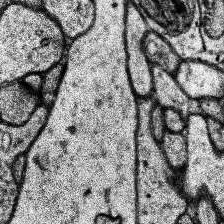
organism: Human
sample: Temporal Lobe